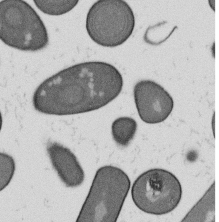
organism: B. subtilis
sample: Bacterial spore